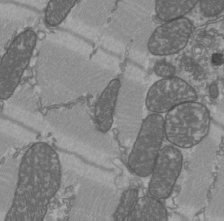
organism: C57BL Mouse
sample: Heart